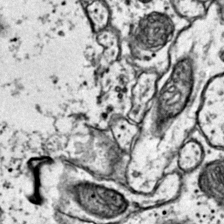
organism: Mouse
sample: Primary visual cortex